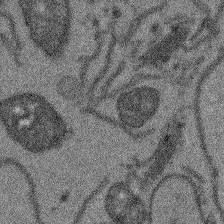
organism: Arabidopsis thaliana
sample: Root tip